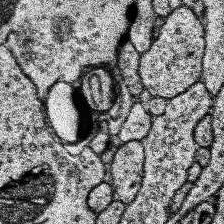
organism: Human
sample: Temporal Lobe